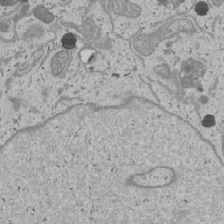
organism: Human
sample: Mitochondria in U2OS cells